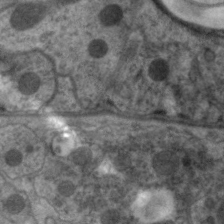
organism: C. elegans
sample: Pharynx